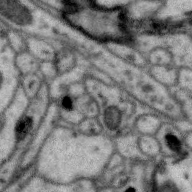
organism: Zebra finch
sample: Brain